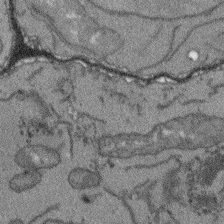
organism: Arabidopsis thaliana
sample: Root tip